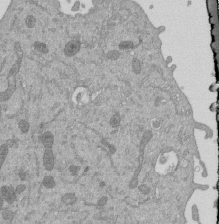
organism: Mouse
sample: ED-1 cell nuclei; centrioles